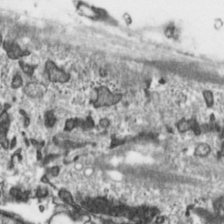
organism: Toxoplasma gondii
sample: Parasites in a vacuole inside a host cell